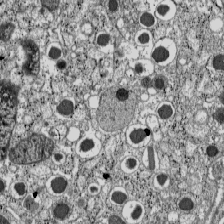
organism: C57BL Mouse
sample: Pancreatic islet